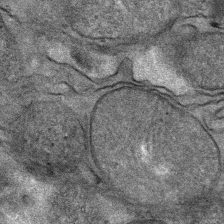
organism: Mouse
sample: Mouse Salivary gland